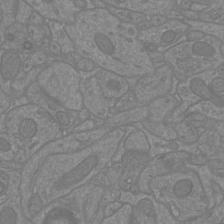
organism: Mouse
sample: Cortical neurons